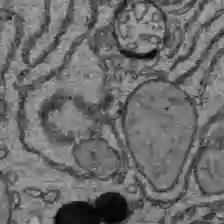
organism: C57BL Mouse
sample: Liver